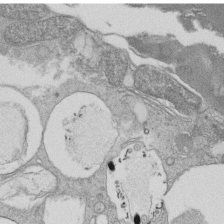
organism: Tetrahymena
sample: Cilia in tetrahymena